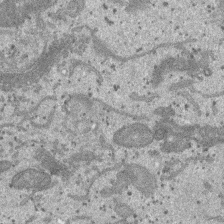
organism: Human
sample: Lung epithelial cells infected with SARS-CoV-2